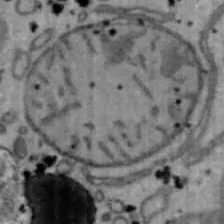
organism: Mouse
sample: Liver